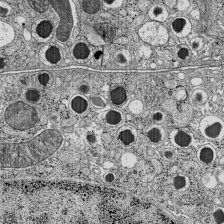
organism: C57BL Mouse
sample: Pancreatic islet